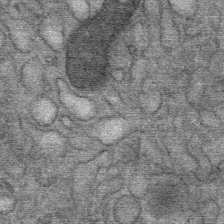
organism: Mouse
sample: Mouse Salivary gland